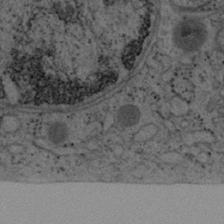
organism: Human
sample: HeLa cells